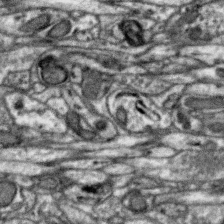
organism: Zebra finch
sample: Brain